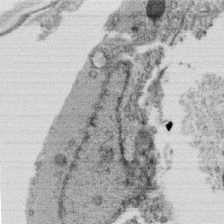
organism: C. elegans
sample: C. elegans oocyte; sperm cells